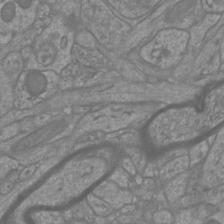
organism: Mouse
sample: Cortical neurons